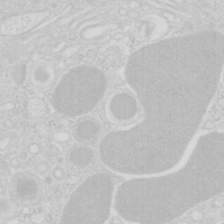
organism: Mouse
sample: Pancreas